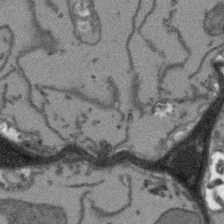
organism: Arabidopsis thaliana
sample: Root tip